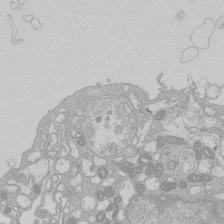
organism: Human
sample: Macrophage cells